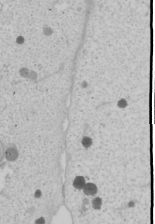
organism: Human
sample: Mitochondria in U2OS cells